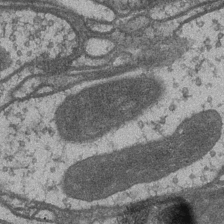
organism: Drosophila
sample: Optic medulla